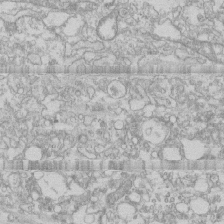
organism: Human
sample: CRL-1474